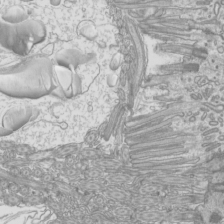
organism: Mouse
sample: Cilia; mouse epididymis